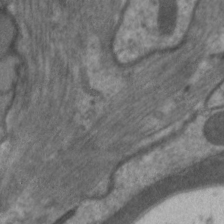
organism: C. elegans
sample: Pharynx